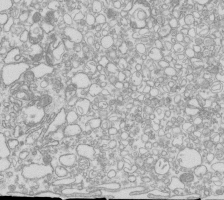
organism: Mouse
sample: Macrophages